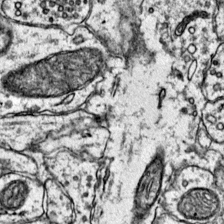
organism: Mouse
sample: Primary visual cortex